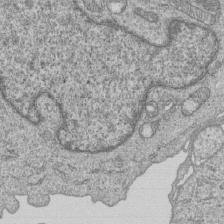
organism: Human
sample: MDA-MB-231 cells